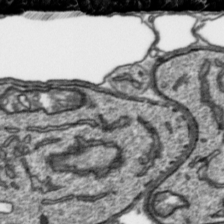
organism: Toxoplasma gondii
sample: Parasites in a vacuole inside a host cell